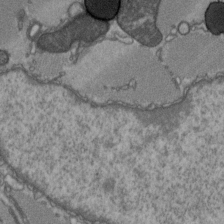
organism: C57BL Mouse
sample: Heart